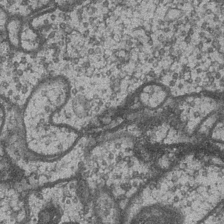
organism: Drosophila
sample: Optic medulla